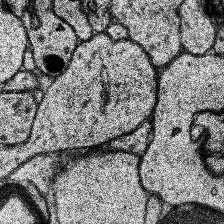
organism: Human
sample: Temporal Lobe